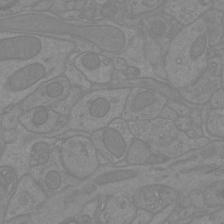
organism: Mouse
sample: Cortical neurons